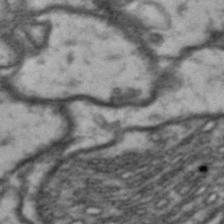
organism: Drosophila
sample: Brain